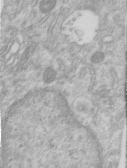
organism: Human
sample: Centriole in RPE cells